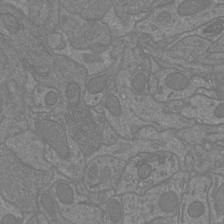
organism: Mouse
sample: Cortical neurons